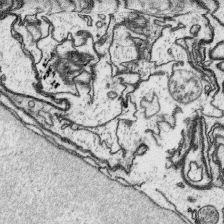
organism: Platynereis dumerilii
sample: Parapodia